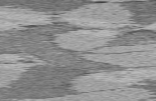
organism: C57BL Mouse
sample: Heart